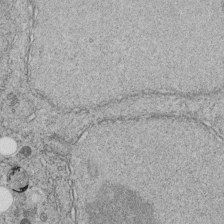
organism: C. elegans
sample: C. elegans embryo early stage